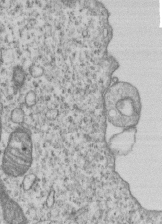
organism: Human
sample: MDA-MB-231 cells